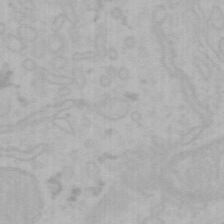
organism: Mouse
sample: Choroid plexus